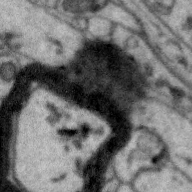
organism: Zebra finch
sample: Brain